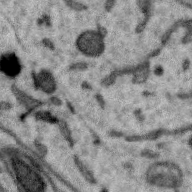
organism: Zebra finch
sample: Brain